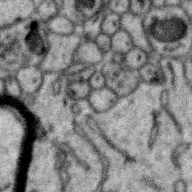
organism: Zebra finch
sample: Brain